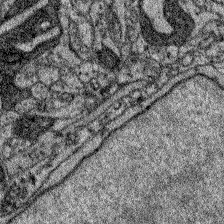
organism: Zebrafish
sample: Larval olfactory bulb